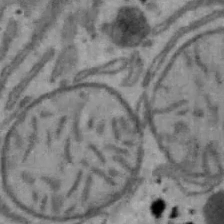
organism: Mouse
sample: Liver